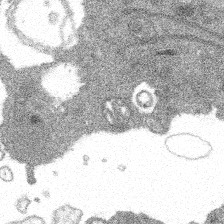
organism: Spongilla lacustris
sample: Multiple